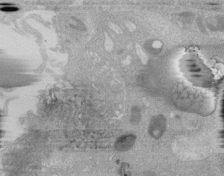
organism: Human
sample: Retinal organoid Rod and Cone cells